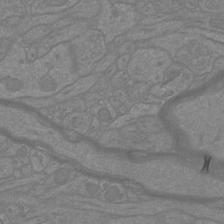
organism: Mouse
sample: Cortical neurons